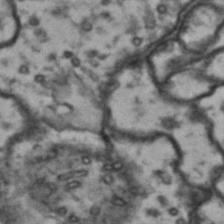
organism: Drosophila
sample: Brain